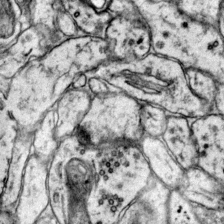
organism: Mouse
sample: Primary visual cortex